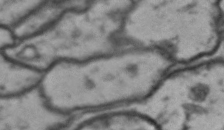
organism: Drosophila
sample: Brain